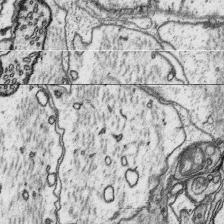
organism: Platynereis dumerilii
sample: Parapodia